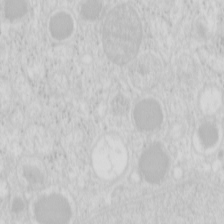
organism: Mouse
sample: Pancreas